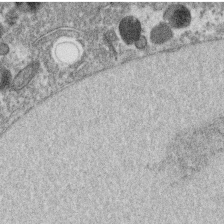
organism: C. elegans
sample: C. elegans oocyte; sperm cells